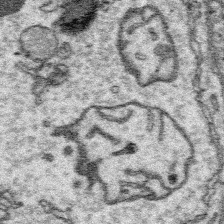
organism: Platynereis dumerilii